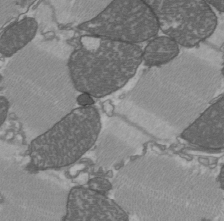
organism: C57BL Mouse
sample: Heart